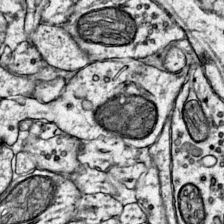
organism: Mouse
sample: Primary visual cortex